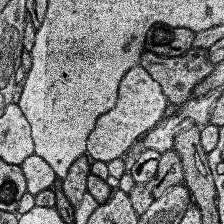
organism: Human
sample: Temporal Lobe